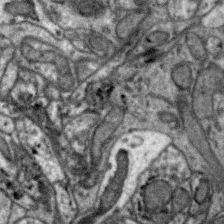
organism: Zebra finch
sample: Brain